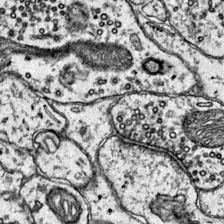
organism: Mouse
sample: Primary visual cortex